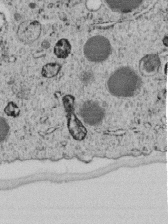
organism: C. elegans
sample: C. elegans embryo early stage